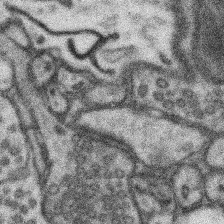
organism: Mouse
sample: Somatosensory cortex neuropil